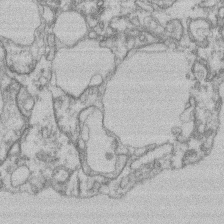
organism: Mouse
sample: T cell stromal cell synapse